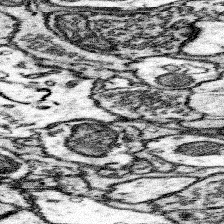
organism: Mouse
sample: Somatosensory cortex neuropil